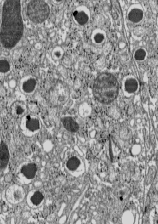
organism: C57BL Mouse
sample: Pancreatic islet